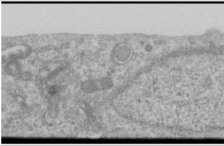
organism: Human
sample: Cilia; basal body in RPE cells